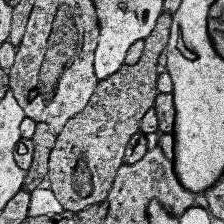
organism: Human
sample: Temporal Lobe